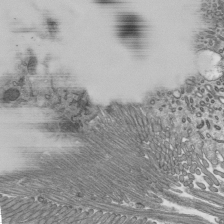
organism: Mouse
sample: Mouse epididymis efferent ductule cilia